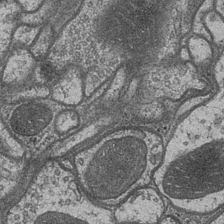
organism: Drosophila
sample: Optic medulla